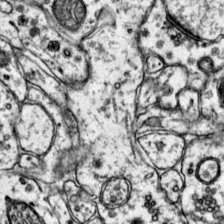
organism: Mouse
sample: Primary visual cortex